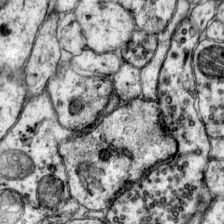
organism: Mouse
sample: Primary visual cortex